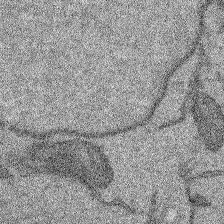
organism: Human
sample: HeLa cells